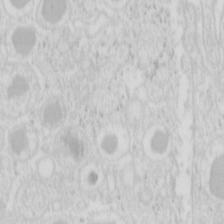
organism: Mouse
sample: Pancreas